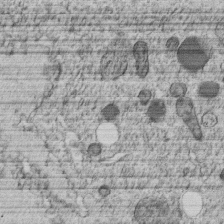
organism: C. elegans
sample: C. elegans embryo early stage